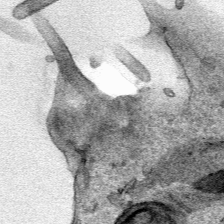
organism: Human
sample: Mitochondria in HCT116 cells